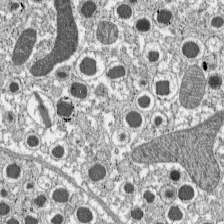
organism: C57BL Mouse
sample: Pancreatic islet